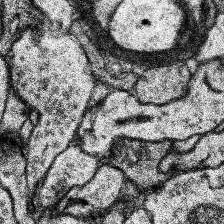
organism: Human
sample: Temporal Lobe